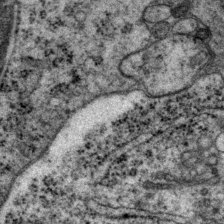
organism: P. pacificus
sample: Pharynx